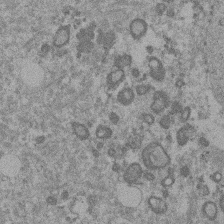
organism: Mouse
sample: Dividing mouse embryo 1 cell stage